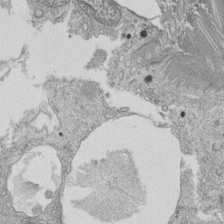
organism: Tetrahymena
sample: Cilia in tetrahymena